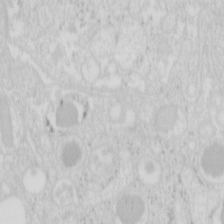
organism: Mouse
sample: Pancreas